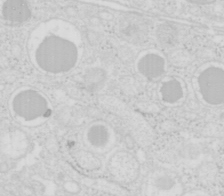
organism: Mouse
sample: Pancreas